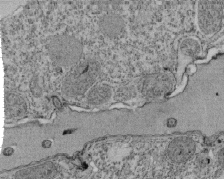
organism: Tetrahymena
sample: Cilia in tetrahymena